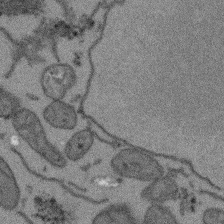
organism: Arabidopsis thaliana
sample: Root tip